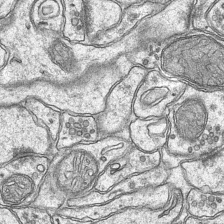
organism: Mouse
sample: CA1 Hippocampus